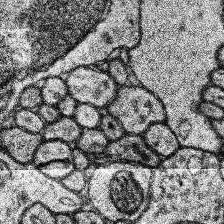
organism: Human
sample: Temporal Lobe